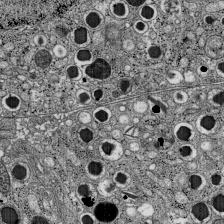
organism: C57BL Mouse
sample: Pancreatic islet